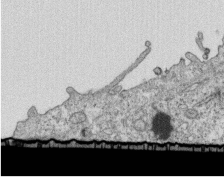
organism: Human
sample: HeLa cell HIV synapse